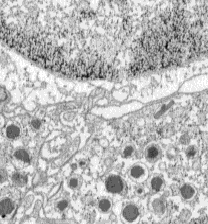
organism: C57BL Mouse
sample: Pancreatic islet